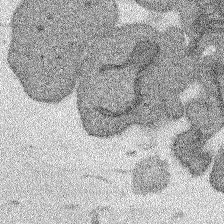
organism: Human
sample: HeLa cells